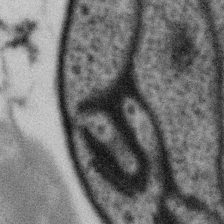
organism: Gemmata obscuriglobus